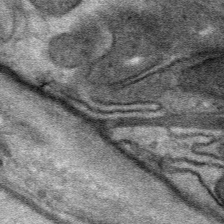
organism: Mouse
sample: Mouse Salivary gland